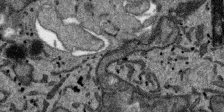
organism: Human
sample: Lung epithelial cells, uninfected (mock) control